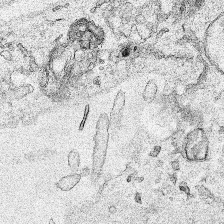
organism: Human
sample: Mitochondria in HCT116 cells